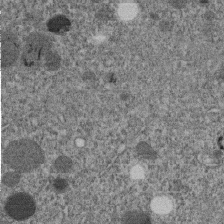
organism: C. elegans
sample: C. elegans embryo early stage